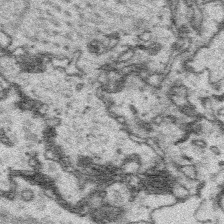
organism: Platynereis dumerilii